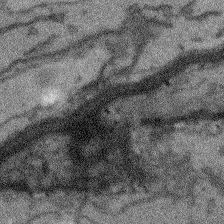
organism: Arabidopsis thaliana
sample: Root tip